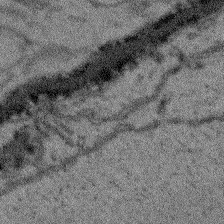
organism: Arabidopsis thaliana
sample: Root tip